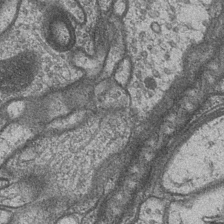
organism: Drosophila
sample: Optic medulla